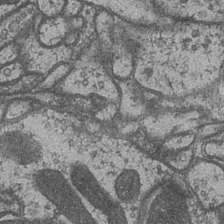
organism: Drosophila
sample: Optic medulla